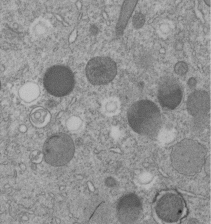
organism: C. elegans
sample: C. elegans embryo early stage